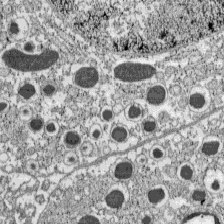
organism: C57BL Mouse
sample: Pancreatic islet